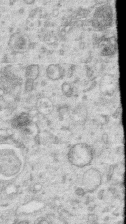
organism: Human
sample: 1205lu cells